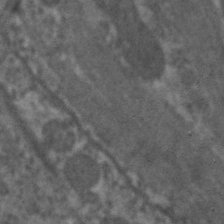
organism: C. elegans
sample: Pharynx